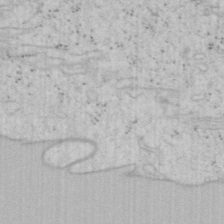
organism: Human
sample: HeLa cells